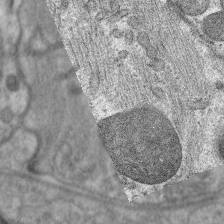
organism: C. elegans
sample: Pharynx